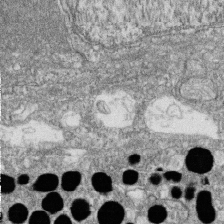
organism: Zebrafish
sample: Cilia; retinal pigment epithelium